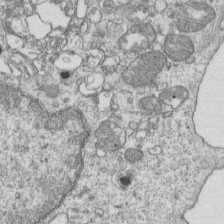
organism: Mouse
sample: Activated OT-1 CD8+ T cells